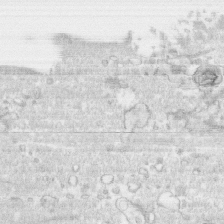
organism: Human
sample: CRL-1474